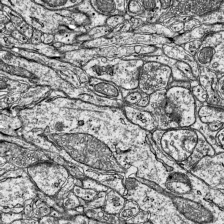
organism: Mouse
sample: Visual Cortex